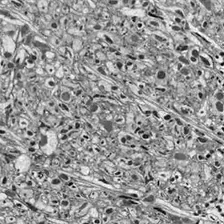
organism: Drosophila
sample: Optic lobe